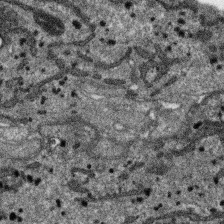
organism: Human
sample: Lung epithelial cells infected with SARS-CoV-2